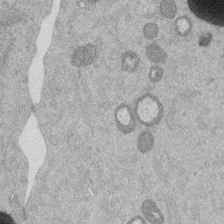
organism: Mouse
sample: Dividing mouse embryo 1 cell stage